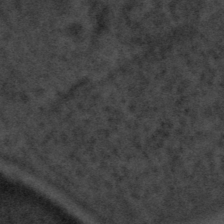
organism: Tuwongella immobilis